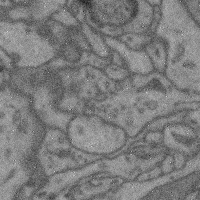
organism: Mouse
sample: Cerebral cortex